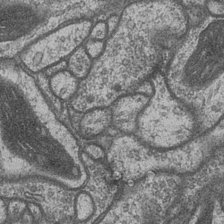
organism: Drosophila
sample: Optic medulla